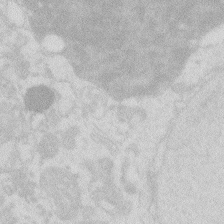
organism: Zebrafish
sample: Macrophage